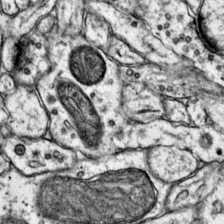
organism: Mouse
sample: Primary visual cortex